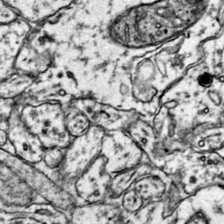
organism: Mouse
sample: Primary visual cortex